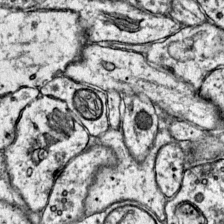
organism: Mouse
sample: Primary visual cortex